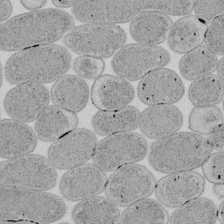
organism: E. coli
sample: Bacterial nucleoid